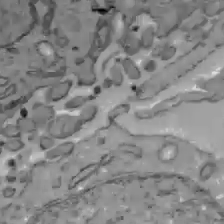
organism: C57BL Mouse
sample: Liver